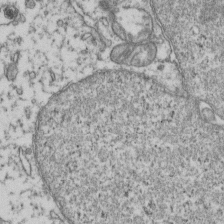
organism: Human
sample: Activated Jurkat CD4+ T cells